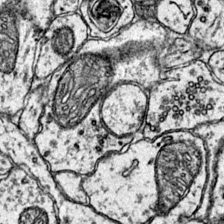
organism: Mouse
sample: Primary visual cortex